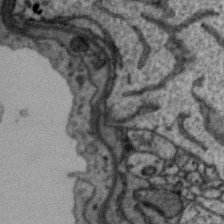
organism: Zebra finch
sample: Brain